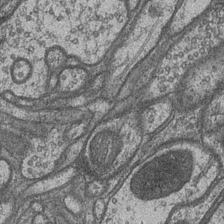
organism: Drosophila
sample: Optic medulla